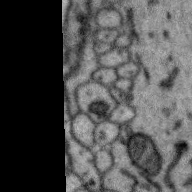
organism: Zebra finch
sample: Brain